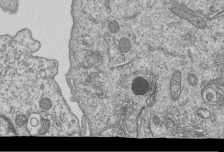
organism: Human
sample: MDA-MB-231 cells